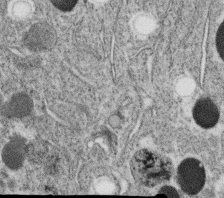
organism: C. elegans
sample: C. elegans oocyte; sperm cells